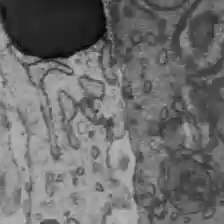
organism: C57BL Mouse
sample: Liver